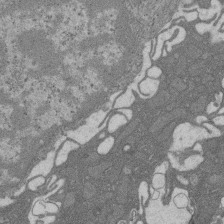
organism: Rat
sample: Salivary granule